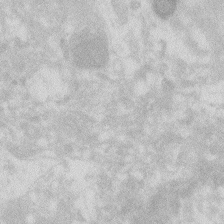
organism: Zebrafish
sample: Macrophage